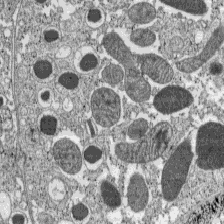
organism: C57BL Mouse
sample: Pancreatic islet